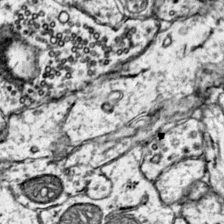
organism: Mouse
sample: Primary visual cortex